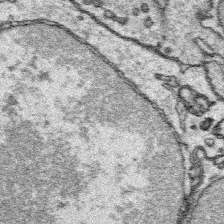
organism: Platynereis dumerilii